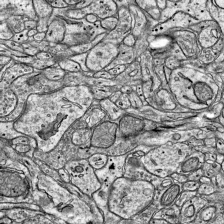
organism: Mouse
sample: Visual Cortex